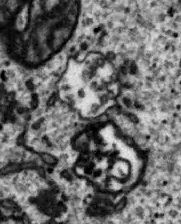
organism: Human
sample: HeLa cells